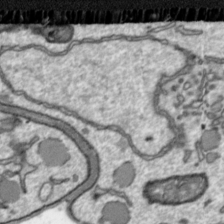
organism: Toxoplasma gondii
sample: Parasites in a vacuole inside a host cell